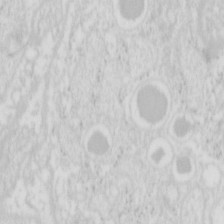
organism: Mouse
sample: Pancreas